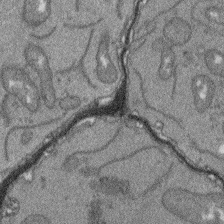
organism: Arabidopsis thaliana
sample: Root tip